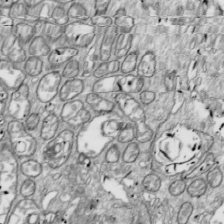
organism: Drosophila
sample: Cell division; meiosis; drosophila spermatocytes